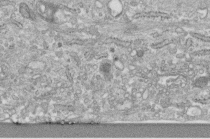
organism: Human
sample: Centriole in fibroblast cells